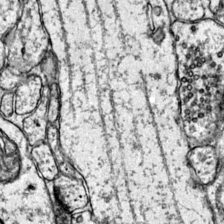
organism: Mouse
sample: Primary visual cortex